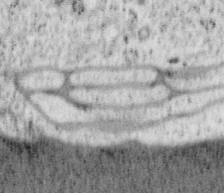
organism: Mouse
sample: OT-I killer T cells with ID8 ovarian cancer cells